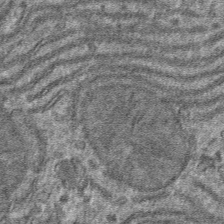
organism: Mouse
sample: Mouse hepatocytes